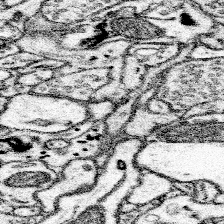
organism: Mouse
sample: Somatosensory cortex neuropil